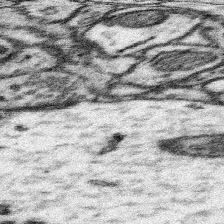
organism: Mouse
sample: Somatosensory cortex neuropil